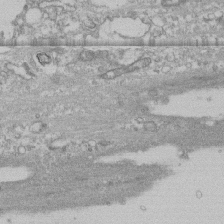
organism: Human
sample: CRL-1474